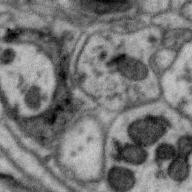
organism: Zebra finch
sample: Brain